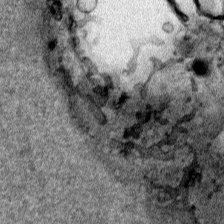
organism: Human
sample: Mitochondria in HCT116 cells